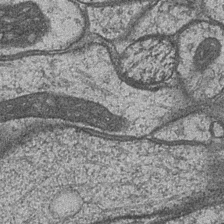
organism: Drosophila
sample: Optic medulla